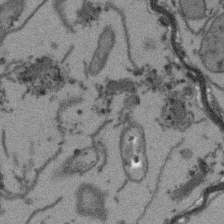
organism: Arabidopsis thaliana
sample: Root tip